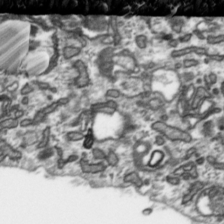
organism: Toxoplasma gondii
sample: Parasites in a vacuole inside a host cell